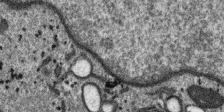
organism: Human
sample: Lung epithelial cells infected with SARS-CoV-2